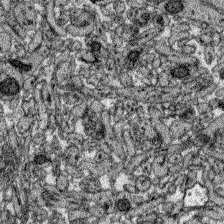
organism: Zebrafish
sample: Larval olfactory bulb